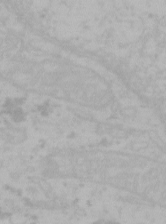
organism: Mouse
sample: Choroid plexus